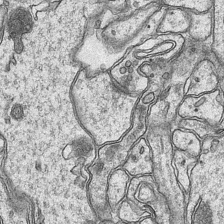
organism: Mouse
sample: CA1 Hippocampus